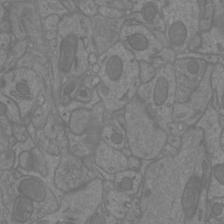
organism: Mouse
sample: Cortical neurons